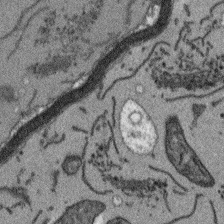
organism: Arabidopsis thaliana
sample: Root tip